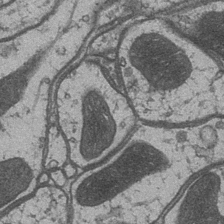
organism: Drosophila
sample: Optic medulla